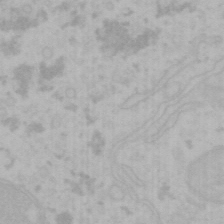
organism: Mouse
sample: Choroid plexus